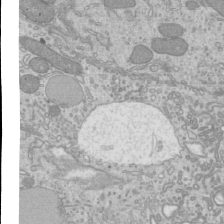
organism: Mouse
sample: Cilia; mouse epididymis